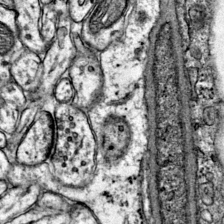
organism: Mouse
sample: Primary visual cortex